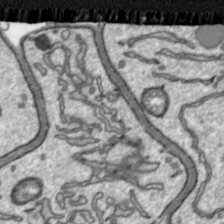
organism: Toxoplasma gondii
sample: Parasites in a vacuole inside a host cell